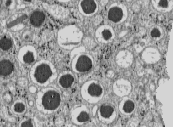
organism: C57BL Mouse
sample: Pancreatic islet